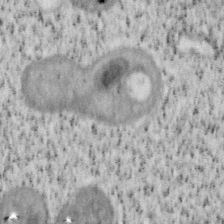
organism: Mouse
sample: OT-I killer T cells with ID8 ovarian cancer cells